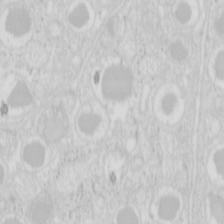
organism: Mouse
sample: Pancreas